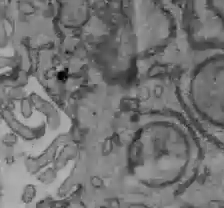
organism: C57BL Mouse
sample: Liver